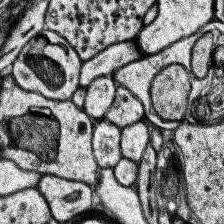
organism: Human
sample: Temporal Lobe